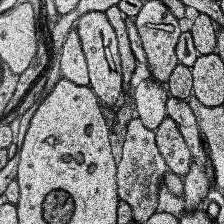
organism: Human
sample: Temporal Lobe